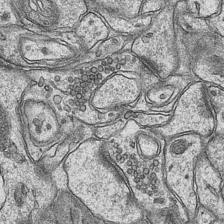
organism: Mouse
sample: CA1 Hippocampus